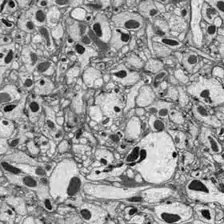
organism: Drosophila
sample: Optic lobe